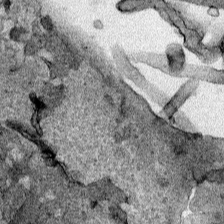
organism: Human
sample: Mitochondria in HCT116 cells